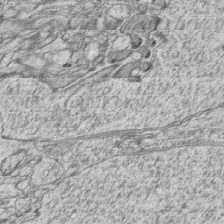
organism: Zebrafish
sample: synaptic ribbons in rod cells and cone cells